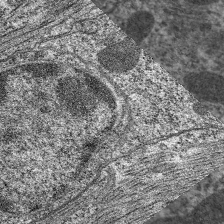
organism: C. elegans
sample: Pharynx